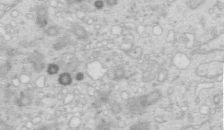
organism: Mouse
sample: Multiciliated cells